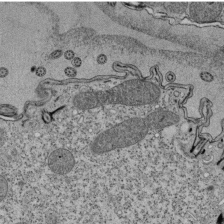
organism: Tetrahymena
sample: Cilia in tetrahymena